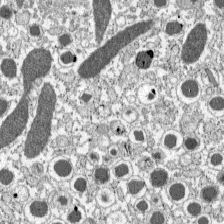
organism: C57BL Mouse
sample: Pancreatic islet